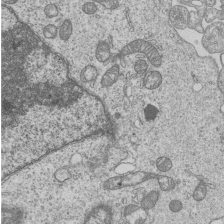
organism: Human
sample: MDA-MB-231 cells